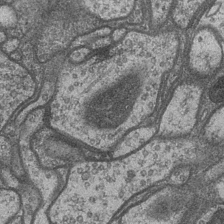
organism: Drosophila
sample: Optic medulla